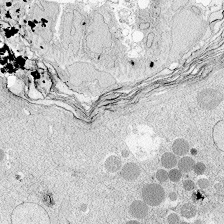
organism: Zebrafish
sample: Whole-Brain